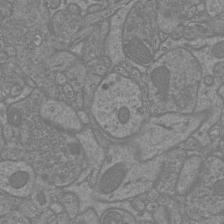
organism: Mouse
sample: Cortical neurons